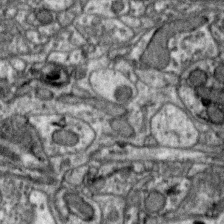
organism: Zebra finch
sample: Brain